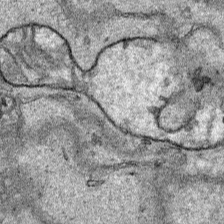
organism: Human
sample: Mitochondria in HCT116 cells